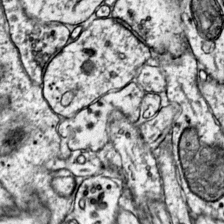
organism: Mouse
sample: Primary visual cortex